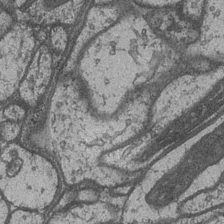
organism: Drosophila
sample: Optic medulla